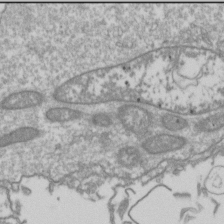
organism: Drosophila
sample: Cell division; meiosis; drosophila spermatocytes